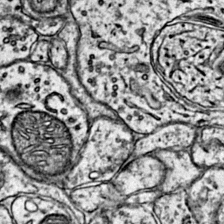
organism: Mouse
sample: Primary visual cortex